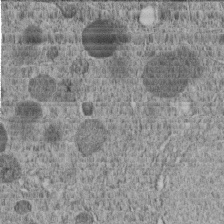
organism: C. elegans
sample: C. elegans embryo early stage